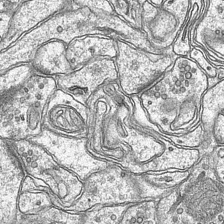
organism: Mouse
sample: CA1 Hippocampus